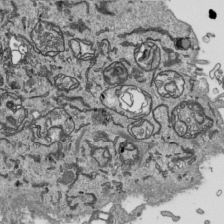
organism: Human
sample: Mitochondria in HCT116 cells